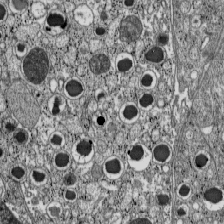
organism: C57BL Mouse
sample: Pancreatic islet